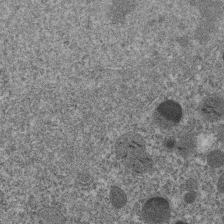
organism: C. elegans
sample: C. elegans embryo early stage